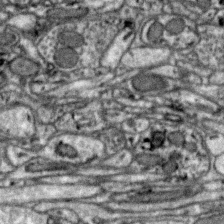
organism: Zebra finch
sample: Brain